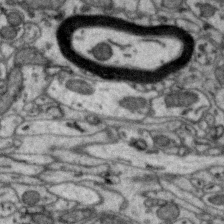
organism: Zebra finch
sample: Brain